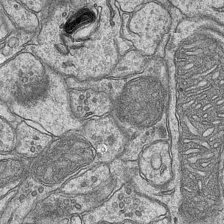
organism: Mouse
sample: CA1 Hippocampus